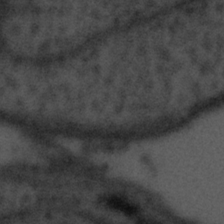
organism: Tuwongella immobilis